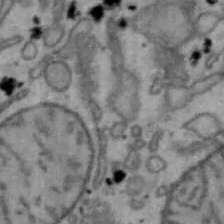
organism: Mouse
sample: Liver